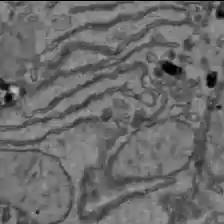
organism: C57BL Mouse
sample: Liver